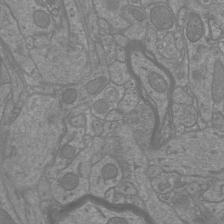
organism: Mouse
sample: Cortical neurons